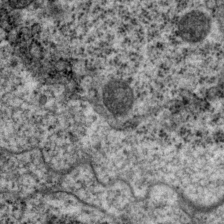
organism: P. pacificus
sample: Pharynx